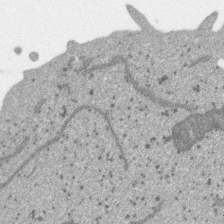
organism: Human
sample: Lung epithelial cells infected with SARS-CoV-2